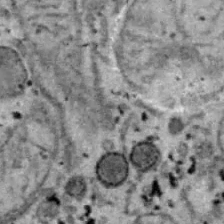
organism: Mouse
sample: Liver from an obese (ob/ob) mouse